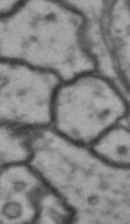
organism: Drosophila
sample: Brain